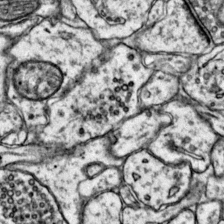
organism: Mouse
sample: Primary visual cortex